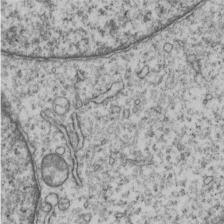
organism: Human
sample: MDA-MB-231 cells